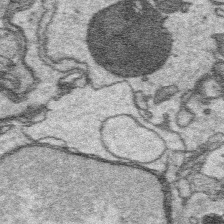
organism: Platynereis dumerilii